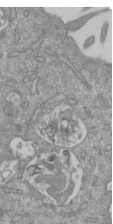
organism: Mouse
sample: ED-1 cell nuclei; centrioles